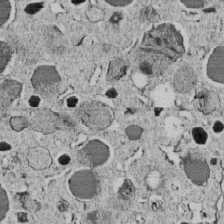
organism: C. elegans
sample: C. elegans embryo early stage